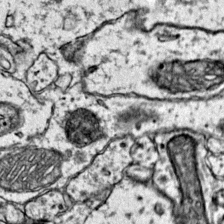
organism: Mouse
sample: Primary visual cortex